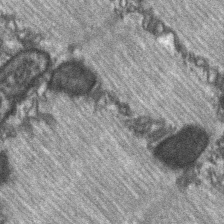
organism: C57BL Mouse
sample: Soleus